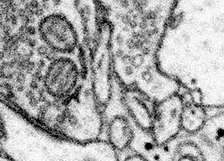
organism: Mouse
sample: Somatosensory cortex neuropil